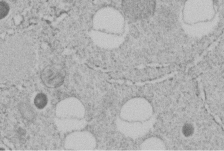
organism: C. elegans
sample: C. elegans embryo early stage